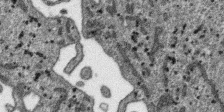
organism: Human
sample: Lung epithelial cells infected with SARS-CoV-2